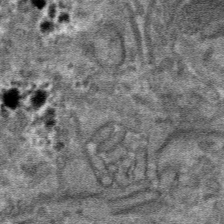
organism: Mouse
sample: Mouse hepatocytes